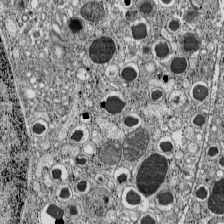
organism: C57BL Mouse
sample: Pancreatic islet